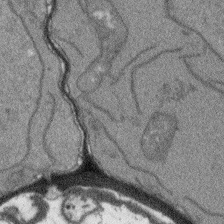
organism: Arabidopsis thaliana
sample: Root tip